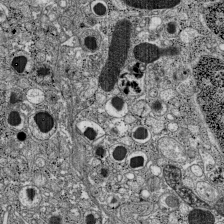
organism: C57BL Mouse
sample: Pancreatic islet